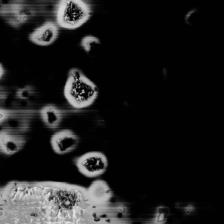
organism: Human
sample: Mitochondria in HCT116 cells